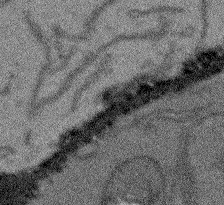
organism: Arabidopsis thaliana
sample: Root tip